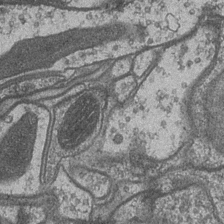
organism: Drosophila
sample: Optic medulla